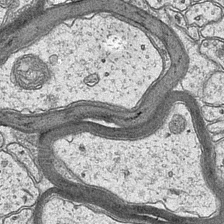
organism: Mouse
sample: CA1 Hippocampus